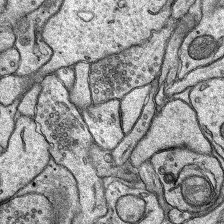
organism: Rat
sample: Hippocampus